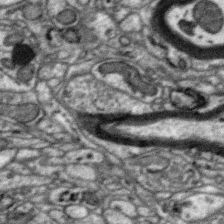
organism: Zebra finch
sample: Brain